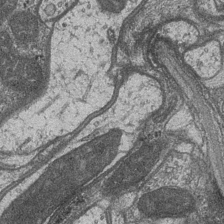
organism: Drosophila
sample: Optic medulla